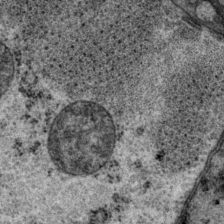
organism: P. pacificus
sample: Pharynx